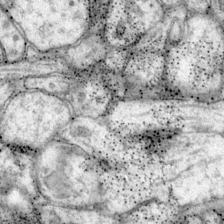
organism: Mouse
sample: Primary visual cortex